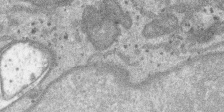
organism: Human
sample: Lung epithelial cells infected with SARS-CoV-2